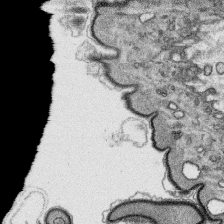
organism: Platynereis dumerilii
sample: Parapodia